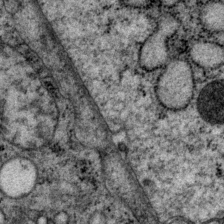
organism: P. pacificus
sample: Pharynx